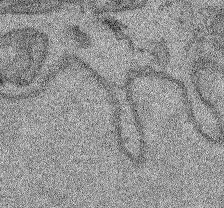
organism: Human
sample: HeLa cells